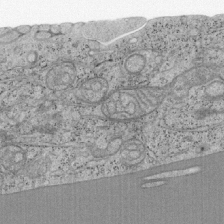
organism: Human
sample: HeLa cells